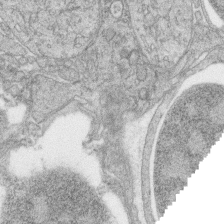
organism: Zebrafish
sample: synaptic ribbons in rod cells and cone cells